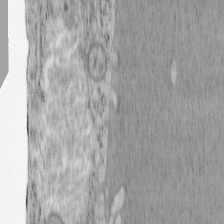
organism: Human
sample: HeLa cells